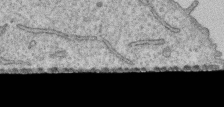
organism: Human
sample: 1205lu cells